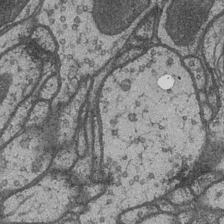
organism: Drosophila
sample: Optic medulla